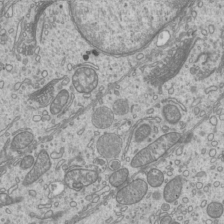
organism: Mouse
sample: Cilia; mouse epididymis